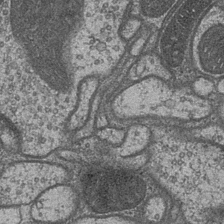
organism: Drosophila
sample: Optic medulla